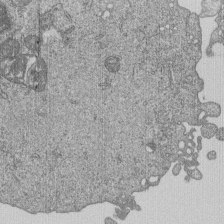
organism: Human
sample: MDA-MB-231 cells